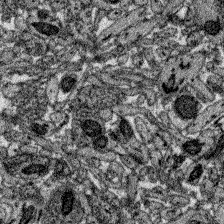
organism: Zebrafish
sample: Larval olfactory bulb